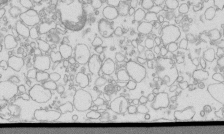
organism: Mouse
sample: Macrophages